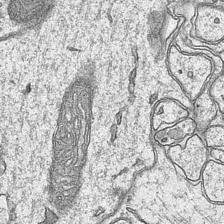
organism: Mouse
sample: CA1 Hippocampus